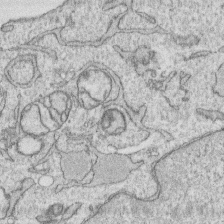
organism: Human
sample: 1205lu cells